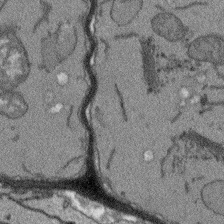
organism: Arabidopsis thaliana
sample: Root tip